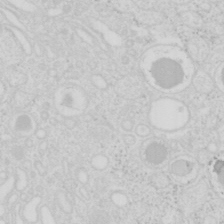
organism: Mouse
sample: Pancreas